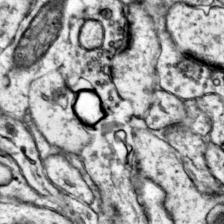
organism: Mouse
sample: Primary visual cortex